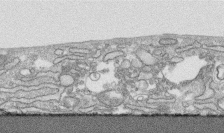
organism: Human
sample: CRL-1474